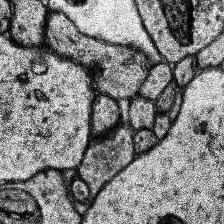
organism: Human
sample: Temporal Lobe